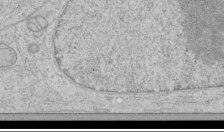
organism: Human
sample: Mitochondria in HCT116 cells